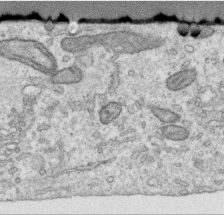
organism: Human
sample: Centriole in RPE cells